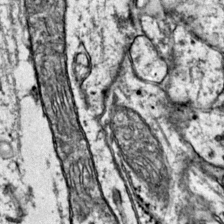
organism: Mouse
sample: Primary visual cortex